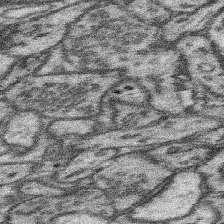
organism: Mouse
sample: Somatosensory cortex neuropil